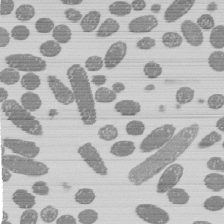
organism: E. coli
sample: Bacterial nucleoid